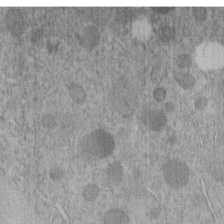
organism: C. elegans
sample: C. elegans embryo early stage